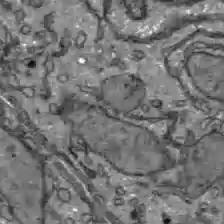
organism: C57BL Mouse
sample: Liver